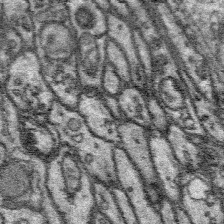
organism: Platynereis dumerilii